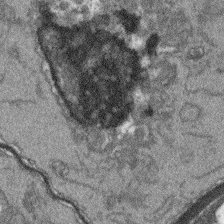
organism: Arabidopsis thaliana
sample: Root tip